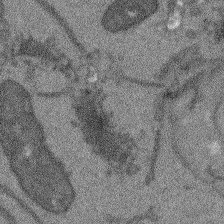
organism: Arabidopsis thaliana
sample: Root tip